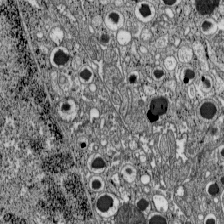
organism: C57BL Mouse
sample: Pancreatic islet